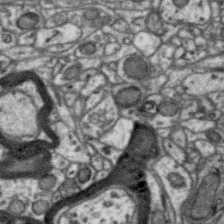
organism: Zebra finch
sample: Brain